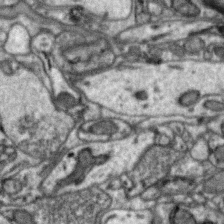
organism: Zebra finch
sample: Brain